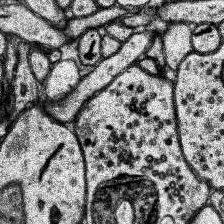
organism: Human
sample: Temporal Lobe